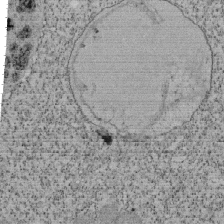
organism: Tetrahymena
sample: Cilia in tetrahymena